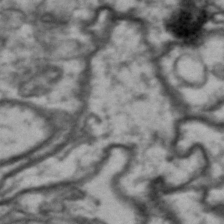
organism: Drosophila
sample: Brain